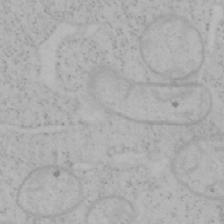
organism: Mouse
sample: OT-I killer T cells with ID8 ovarian cancer cells